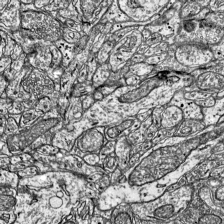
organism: Mouse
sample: Visual Cortex